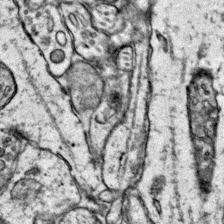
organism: Mouse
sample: Primary visual cortex